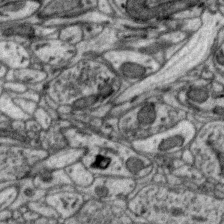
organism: Zebra finch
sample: Brain